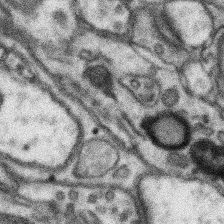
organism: Mouse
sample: Somatosensory cortex neuropil